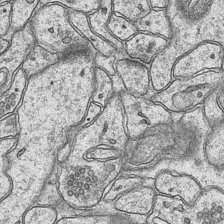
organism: Mouse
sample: CA1 Hippocampus